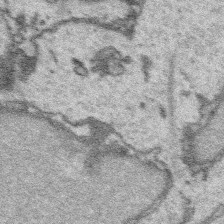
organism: Platynereis dumerilii